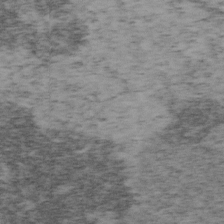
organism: Mouse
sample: OT-I killer T cells with ID8 ovarian cancer cells